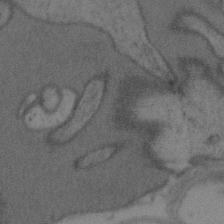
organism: Human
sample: HeLa cells